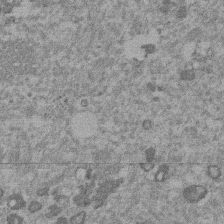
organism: Mouse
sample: Dividing mouse embryo 1 cell stage